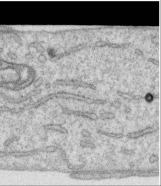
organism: Human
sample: Centriole in RPE cells